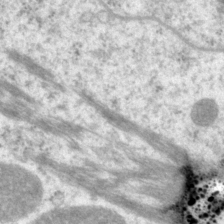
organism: P. pacificus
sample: Pharynx